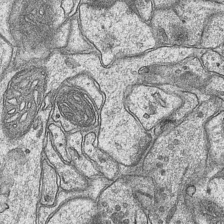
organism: Mouse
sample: CA1 Hippocampus